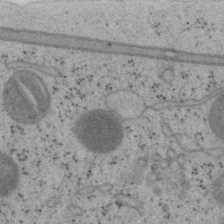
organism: Human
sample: HeLa cells